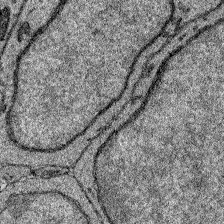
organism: Zebrafish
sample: Larval olfactory bulb